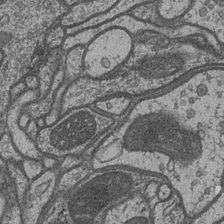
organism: Drosophila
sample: Optic medulla